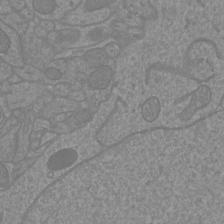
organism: Mouse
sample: Cortical neurons